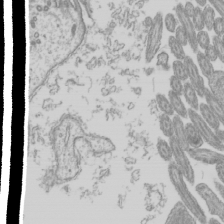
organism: Mouse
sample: Cilia; mouse epididymis